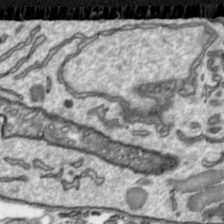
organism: Toxoplasma gondii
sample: Parasites in a vacuole inside a host cell